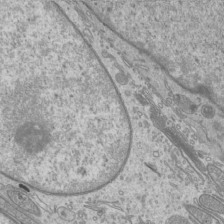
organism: Mouse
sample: Cilia; mouse epididymis